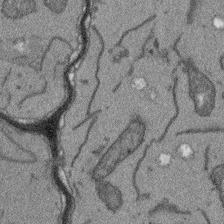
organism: Arabidopsis thaliana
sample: Root tip